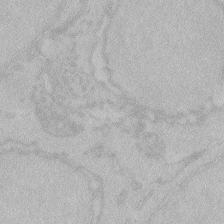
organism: Zebrafish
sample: Macrophage infected with Toxoplasma gondii